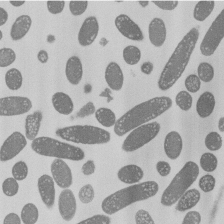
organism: E. coli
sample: Bacterial nucleoid